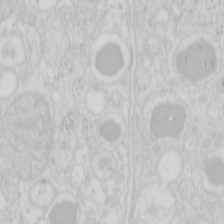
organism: Mouse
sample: Pancreas